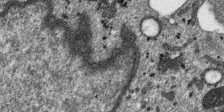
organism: Human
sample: Lung epithelial cells infected with SARS-CoV-2